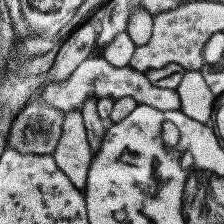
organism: Human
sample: Temporal Lobe